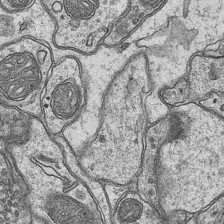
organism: Mouse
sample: CA1 Hippocampus